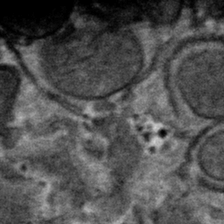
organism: Mouse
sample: Mouse hepatocytes